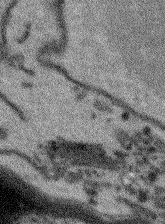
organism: Arabidopsis thaliana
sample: Root tip